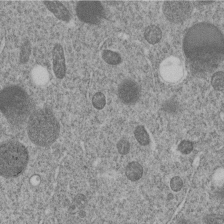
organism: C. elegans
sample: C. elegans embryo early stage